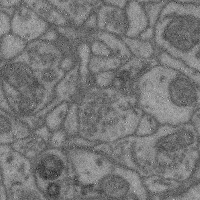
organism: Mouse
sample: Cerebral cortex